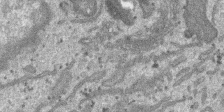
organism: Human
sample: Lung epithelial cells infected with SARS-CoV-2